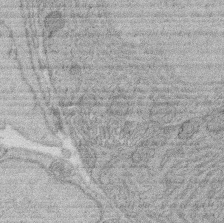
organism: Rat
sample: Salivary granule